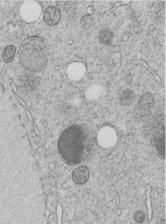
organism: C. elegans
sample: C. elegans embryo early stage